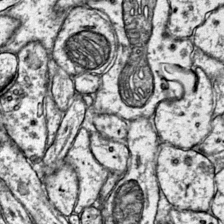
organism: Mouse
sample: Primary visual cortex